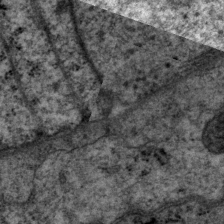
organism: P. pacificus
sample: Pharynx